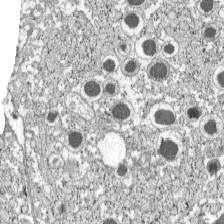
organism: C57BL Mouse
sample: Pancreatic islet